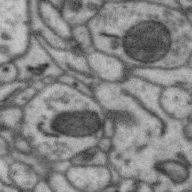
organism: Zebra finch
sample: Brain